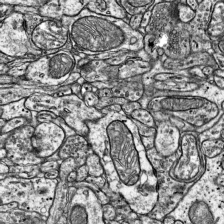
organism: Mouse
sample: Visual Cortex